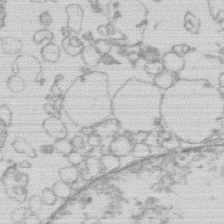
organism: Human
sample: Macrophage cells